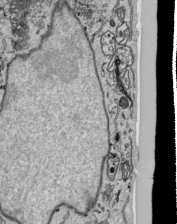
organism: Human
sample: Mitochondria in HCT116 cells